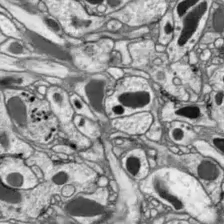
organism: Drosophila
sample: Optic lobe